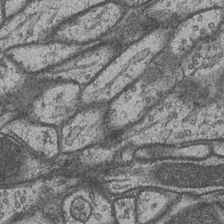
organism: Drosophila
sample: Optic medulla